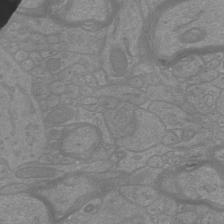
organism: Mouse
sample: Cortical neurons